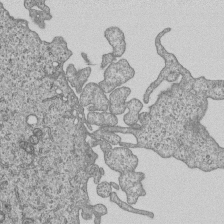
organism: Human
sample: MDA-MB-231 cells